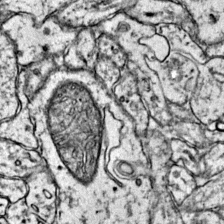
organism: Mouse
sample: Primary visual cortex